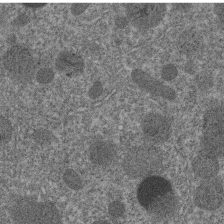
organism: C. elegans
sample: C. elegans embryo early stage